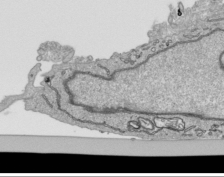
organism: Human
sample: Mitochondria in HCT116 cells